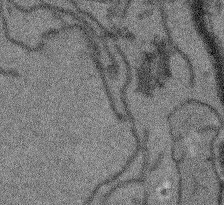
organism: Arabidopsis thaliana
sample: Root tip